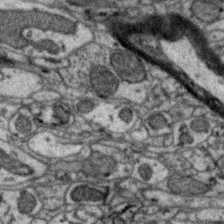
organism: Zebra finch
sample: Brain